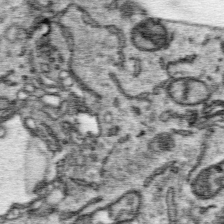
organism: Human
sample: HeLa cells